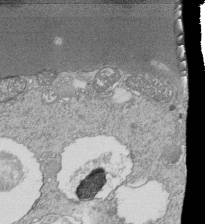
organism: Tetrahymena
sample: Cilia in tetrahymena